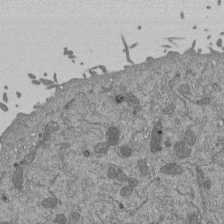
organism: Mouse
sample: ED-1 cell nuclei; centrioles